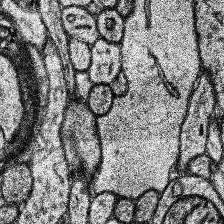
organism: Human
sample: Temporal Lobe